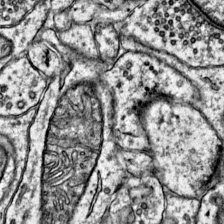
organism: Mouse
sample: Primary visual cortex